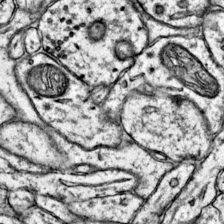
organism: Mouse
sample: Primary visual cortex